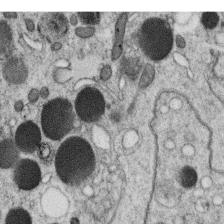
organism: C. elegans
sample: C. elegans oocyte; sperm cells